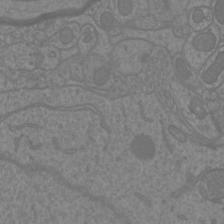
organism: Mouse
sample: Cortical neurons